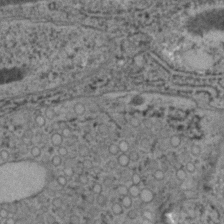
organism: C. elegans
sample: C. elegans embryo